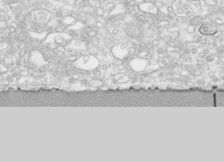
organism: Human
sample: CRL-1474